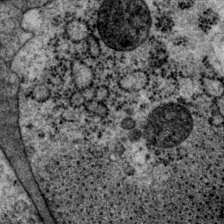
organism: P. pacificus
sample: Pharynx